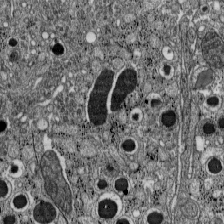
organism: C57BL Mouse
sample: Pancreatic islet